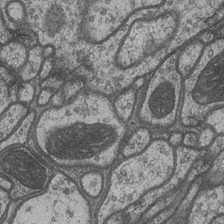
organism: Drosophila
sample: Optic medulla